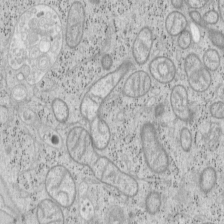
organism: Mouse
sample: OT-I killer T cells with ID8 ovarian cancer cells